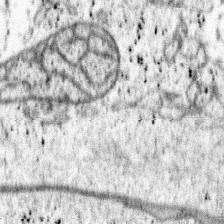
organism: Human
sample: HeLa cells